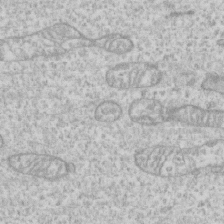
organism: Human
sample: CRL-1474